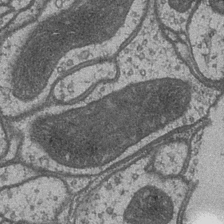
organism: Drosophila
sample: Optic medulla